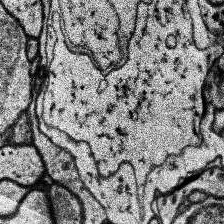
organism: Human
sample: Temporal Lobe